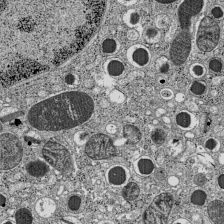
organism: C57BL Mouse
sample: Pancreatic islet